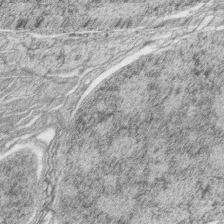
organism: Zebrafish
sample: synaptic ribbons in rod cells and cone cells